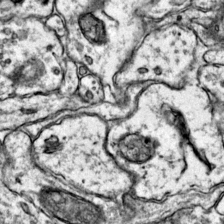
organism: Mouse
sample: Primary visual cortex